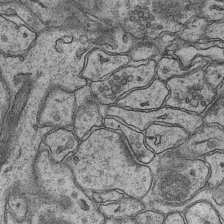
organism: Mouse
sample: CA1 Hippocampus